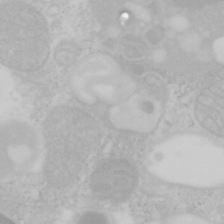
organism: Mouse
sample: OT-I killer T cells with ID8 ovarian cancer cells